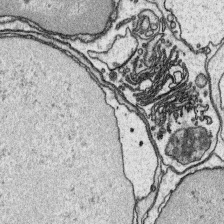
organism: Platynereis dumerilii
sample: Parapodia